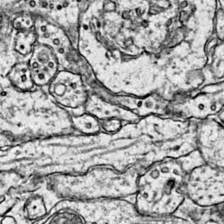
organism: Mouse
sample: Primary visual cortex